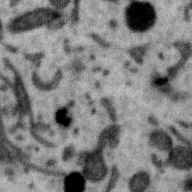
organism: Zebra finch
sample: Brain